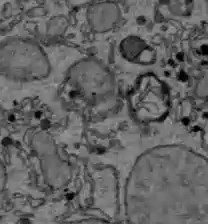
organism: C57BL Mouse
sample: Liver